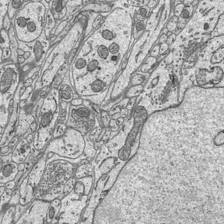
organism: Mouse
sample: Suprachiasmatic nucleus